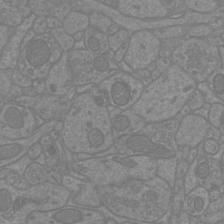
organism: Mouse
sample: Cortical neurons